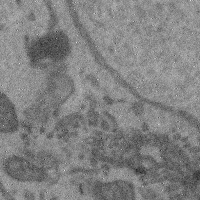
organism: Mouse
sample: Cerebral cortex